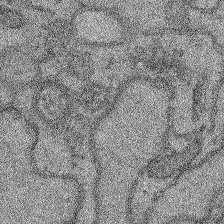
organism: Human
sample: HeLa cells